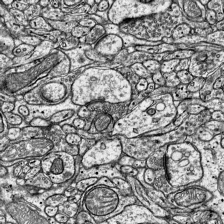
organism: Mouse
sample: Visual Cortex